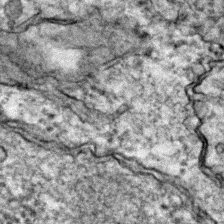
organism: Zebrafish